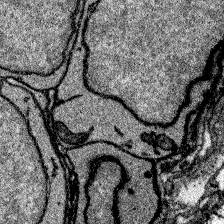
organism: Zebrafish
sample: Larval olfactory bulb